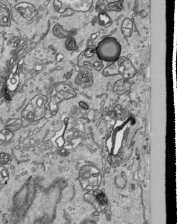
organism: Human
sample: Mitochondria in HCT116 cells